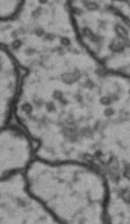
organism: Drosophila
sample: Brain